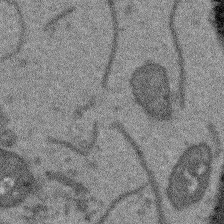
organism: Arabidopsis thaliana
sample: Root tip